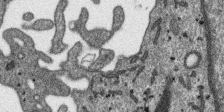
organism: Human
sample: Lung epithelial cells infected with SARS-CoV-2